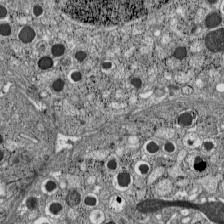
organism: C57BL Mouse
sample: Pancreatic islet